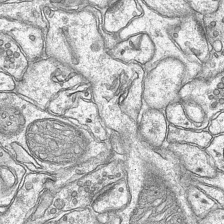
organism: Mouse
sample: CA1 Hippocampus